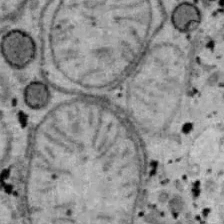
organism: Mouse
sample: Liver from an obese (ob/ob) mouse